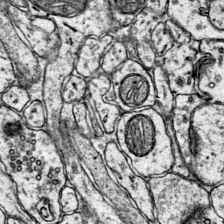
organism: Mouse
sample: Primary visual cortex